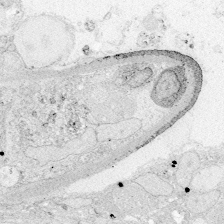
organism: Zebrafish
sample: Whole-Brain